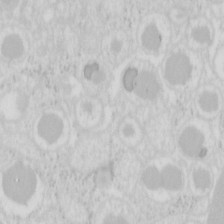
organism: Mouse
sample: Pancreas